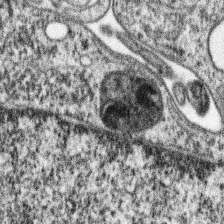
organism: Human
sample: HeLa cells